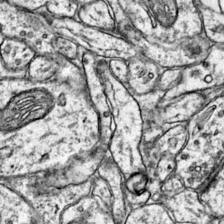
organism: Mouse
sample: Primary visual cortex